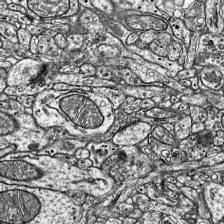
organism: Mouse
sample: Visual Cortex